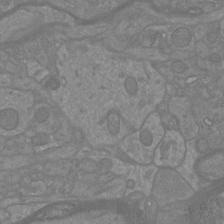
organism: Mouse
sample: Cortical neurons